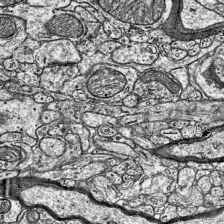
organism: Mouse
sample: Visual Cortex